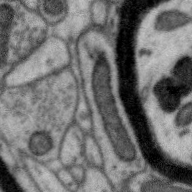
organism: Zebra finch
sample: Brain